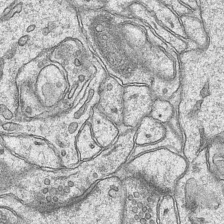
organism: Mouse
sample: CA1 Hippocampus